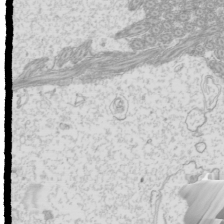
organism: Mouse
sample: Cilia; mouse epididymis